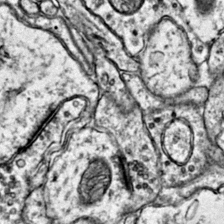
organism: Mouse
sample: Primary visual cortex